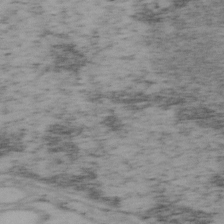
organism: Mouse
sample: OT-I killer T cells with ID8 ovarian cancer cells